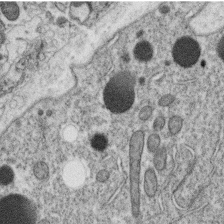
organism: C. elegans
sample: C. elegans oocyte; sperm cells